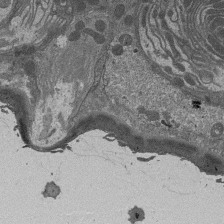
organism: Drosophila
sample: Antenna